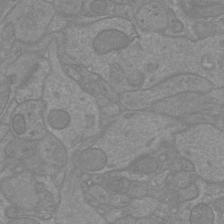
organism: Mouse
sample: Cortical neurons